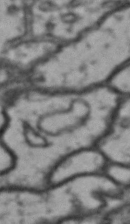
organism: Drosophila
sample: Brain